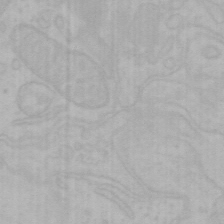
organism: Mouse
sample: Choroid plexus